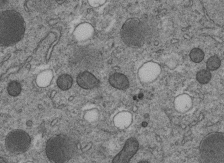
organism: C. elegans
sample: C. elegans embryo early stage